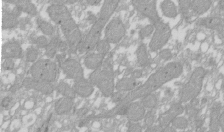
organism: Xenopus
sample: Cilia; centrioles in frog embryo cells